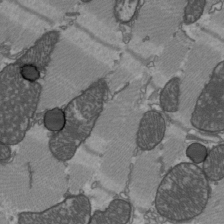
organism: C57BL Mouse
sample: Heart